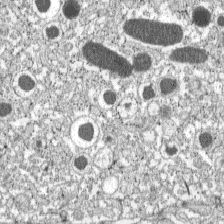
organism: C57BL Mouse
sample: Pancreatic islet